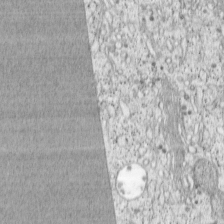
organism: African green monkey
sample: COS-7 cells